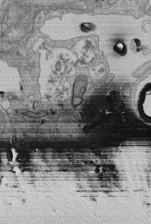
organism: Human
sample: Retinal organoid Rod and Cone cells